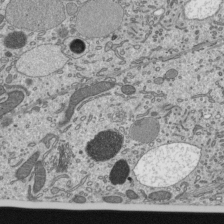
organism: Mouse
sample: Mouse epididymis efferent ductule cilia